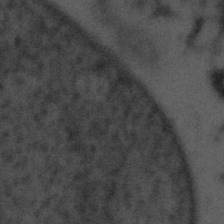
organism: Tuwongella immobilis